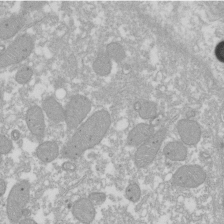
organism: Xenopus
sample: Cilia; centrioles in frog embryo cells